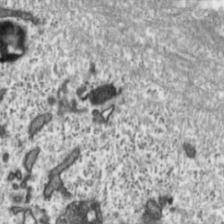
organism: Toxoplasma gondii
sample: Parasites in a vacuole inside a host cell